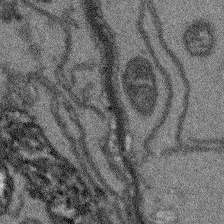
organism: Arabidopsis thaliana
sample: Root tip